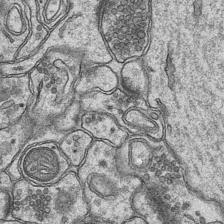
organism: Mouse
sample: CA1 Hippocampus